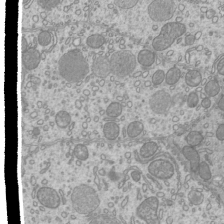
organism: Mouse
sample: Cilia; mouse epididymis